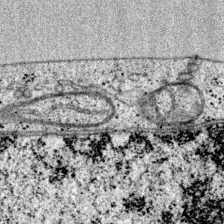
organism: Human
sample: HeLa cells